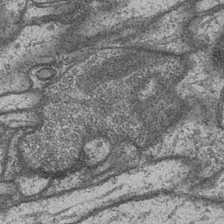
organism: Drosophila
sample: Optic medulla